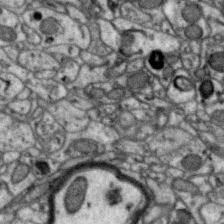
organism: Zebra finch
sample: Brain